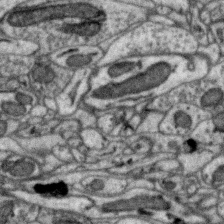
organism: Zebra finch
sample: Brain